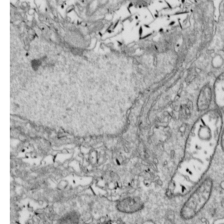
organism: Drosophila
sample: Cell division; meiosis; drosophila spermatocytes